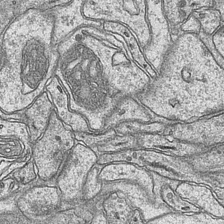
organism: Mouse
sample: CA1 Hippocampus